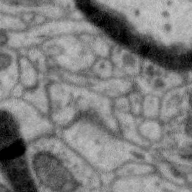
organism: Zebra finch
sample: Brain